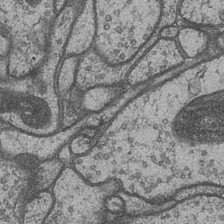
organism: Drosophila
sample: Optic medulla